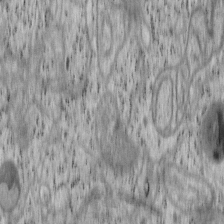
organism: Human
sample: HeLa cells